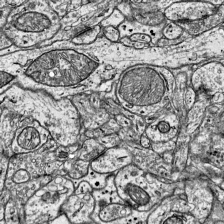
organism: Mouse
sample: Visual Cortex